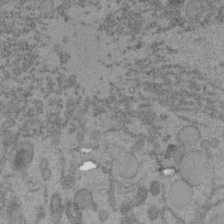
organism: C. elegans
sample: C. elegans embryo early stage